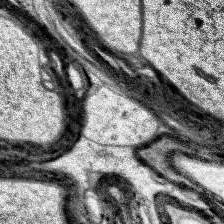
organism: Human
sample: Temporal Lobe